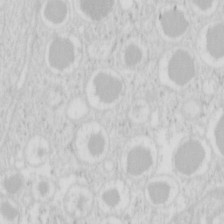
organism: Mouse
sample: Pancreas